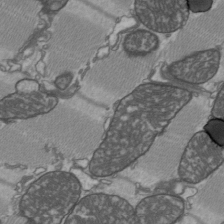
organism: C57BL Mouse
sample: Heart